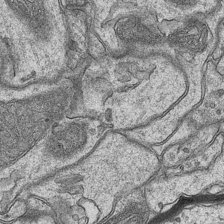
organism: Mouse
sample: CA1 Hippocampus